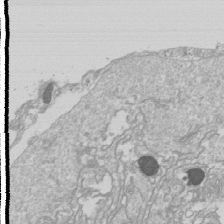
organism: Drosophila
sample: Cell division; meiosis; drosophila spermatocytes